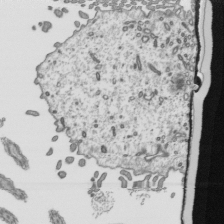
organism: Mouse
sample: Mouse epididymis efferent ductule cilia